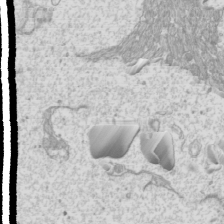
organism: Mouse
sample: Cilia; mouse epididymis